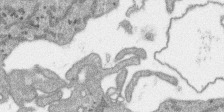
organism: Human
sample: Lung epithelial cells infected with SARS-CoV-2